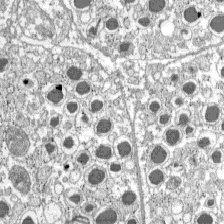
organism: C57BL Mouse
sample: Pancreatic islet